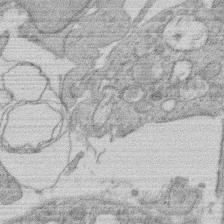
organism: Rat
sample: Salivary granule